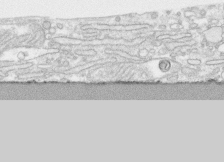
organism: Human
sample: CRL-1474